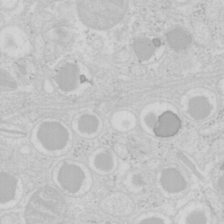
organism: Mouse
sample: Pancreas